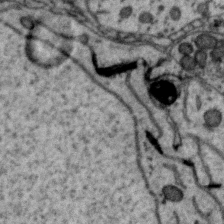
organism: Zebra finch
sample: Brain